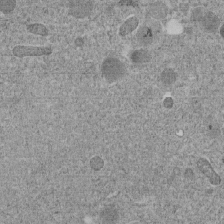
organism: C. elegans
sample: C. elegans embryo early stage